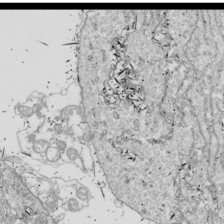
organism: Drosophila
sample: Cell division; meiosis; drosophila spermatocytes